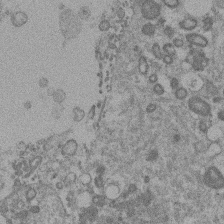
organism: Mouse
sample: Dividing mouse embryo 1 cell stage